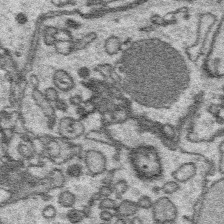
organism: Platynereis dumerilii